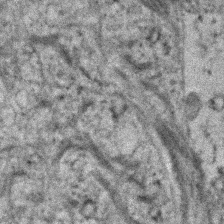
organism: Human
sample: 1205lu cells